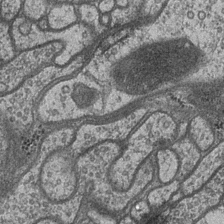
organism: Drosophila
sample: Optic medulla